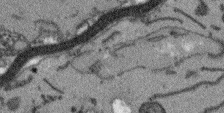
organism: Arabidopsis thaliana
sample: Root tip